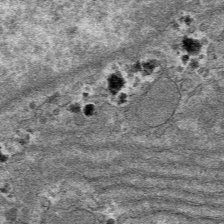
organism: Mouse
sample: Mouse hepatocytes